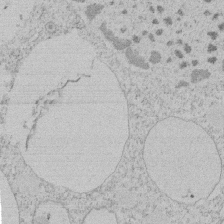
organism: Tetrahymena